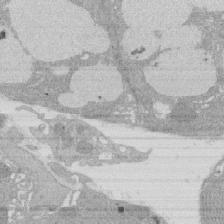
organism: Rat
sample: Salivary granule